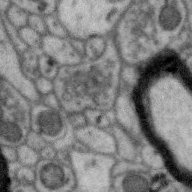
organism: Zebra finch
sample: Brain